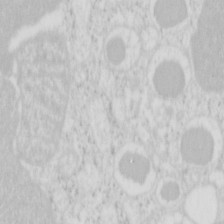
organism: Mouse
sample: Pancreas